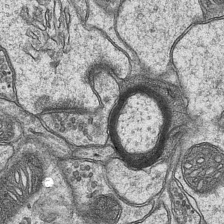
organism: Mouse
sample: CA1 Hippocampus